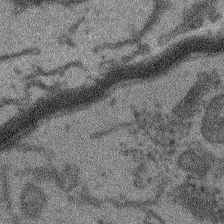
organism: Arabidopsis thaliana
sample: Root tip